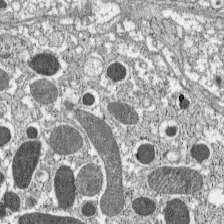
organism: C57BL Mouse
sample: Pancreatic islet